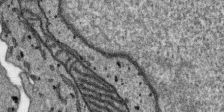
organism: Human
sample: Lung epithelial cells, uninfected (mock) control